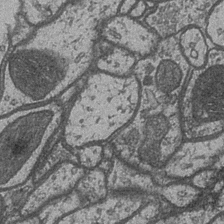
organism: Drosophila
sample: Optic medulla